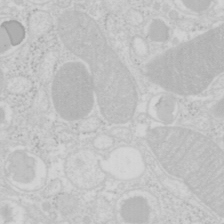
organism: Mouse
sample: Pancreas